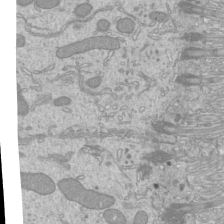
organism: Mouse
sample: Cilia; mouse epididymis